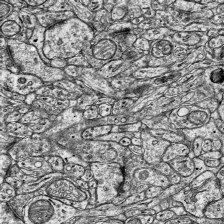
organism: Mouse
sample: Visual Cortex